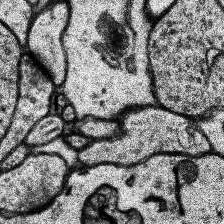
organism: Human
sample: Temporal Lobe